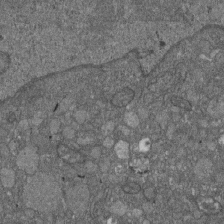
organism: Drosophila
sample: Nephrocyte